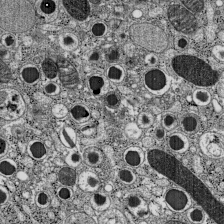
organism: C57BL Mouse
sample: Pancreatic islet